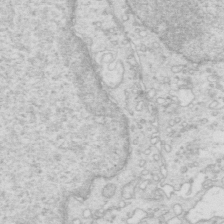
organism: Mouse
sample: Multiciliated cells